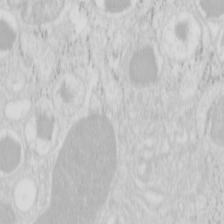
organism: Mouse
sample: Pancreas